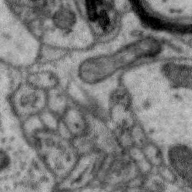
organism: Zebra finch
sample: Brain